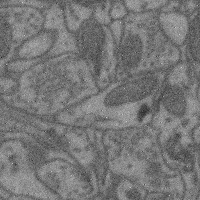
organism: Mouse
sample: Cerebral cortex